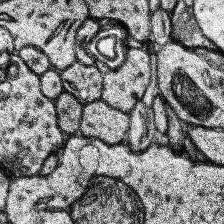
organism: Human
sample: Temporal Lobe